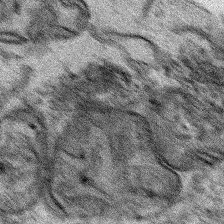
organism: Human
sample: Mitochondria in HCT116 cells